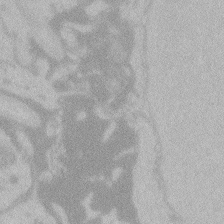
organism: Zebrafish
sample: Macrophage infected with Toxoplasma gondii